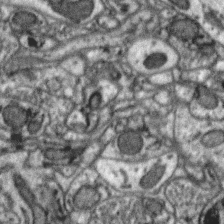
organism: Zebra finch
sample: Brain